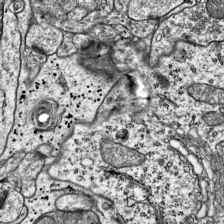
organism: Mouse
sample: Visual Cortex